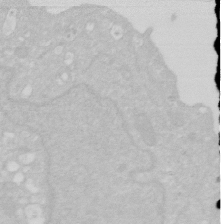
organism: Human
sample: HIV infected U937 cells